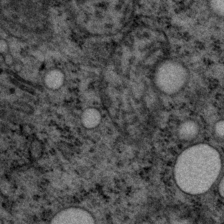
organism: P. pacificus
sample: Pharynx